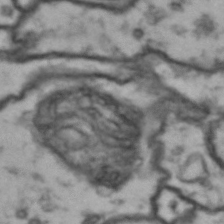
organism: Drosophila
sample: Brain